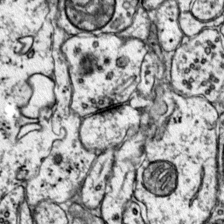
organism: Mouse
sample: Primary visual cortex